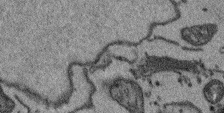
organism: Arabidopsis thaliana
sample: Root tip